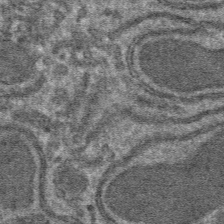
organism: Mouse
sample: Mouse hepatocytes